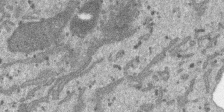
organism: Human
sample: Lung epithelial cells infected with SARS-CoV-2